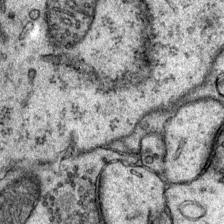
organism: Mouse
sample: Primary visual cortex